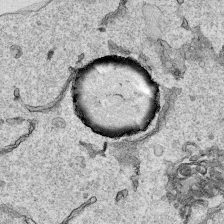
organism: Human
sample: Mitochondria in HCT116 cells